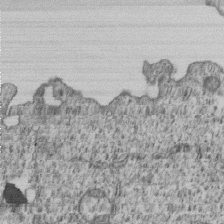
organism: Human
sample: MDA-MB-231 cells